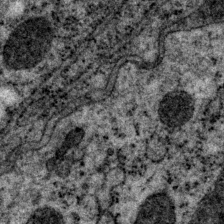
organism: P. pacificus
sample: Pharynx